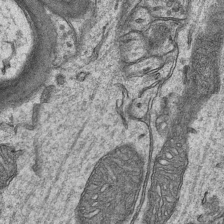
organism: Mouse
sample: CA1 Hippocampus